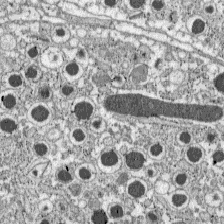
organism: C57BL Mouse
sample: Pancreatic islet